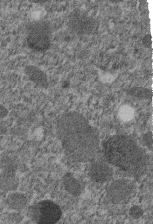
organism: C. elegans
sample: C. elegans embryo early stage